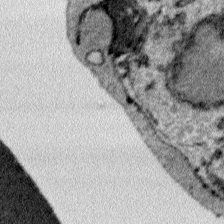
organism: Plasmodium falciparum